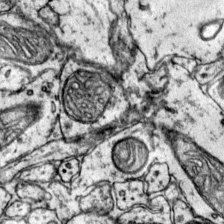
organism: Mouse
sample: Primary visual cortex